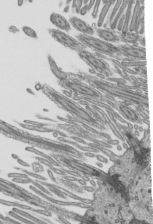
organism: Mouse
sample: Mouse epididymis efferent ductule cilia